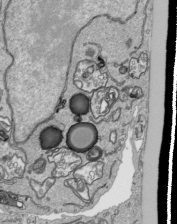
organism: Human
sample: Mitochondria in HCT116 cells